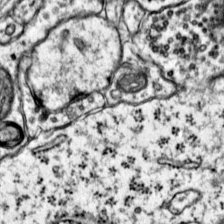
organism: Mouse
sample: Primary visual cortex